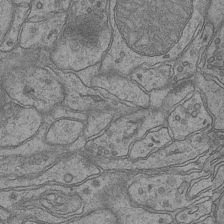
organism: Mouse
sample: CA1 Hippocampus